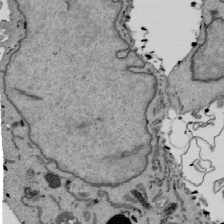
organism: Mouse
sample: ED-1 cell nuclei; centrioles